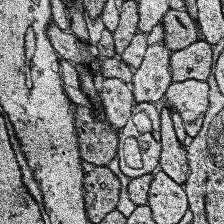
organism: Human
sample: Temporal Lobe